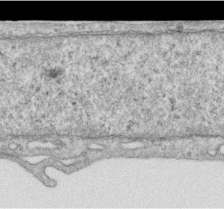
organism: Human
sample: Centriole in RPE cells